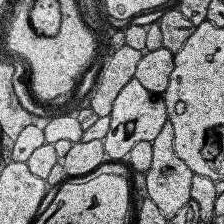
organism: Human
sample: Temporal Lobe